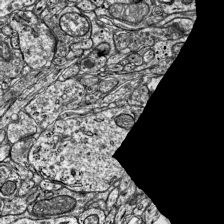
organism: Mouse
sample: Visual Cortex